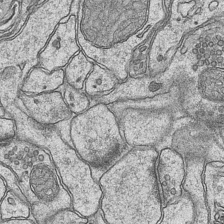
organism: Mouse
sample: CA1 Hippocampus